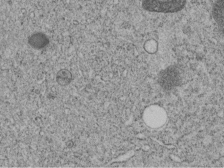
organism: C. elegans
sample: C. elegans embryo early stage